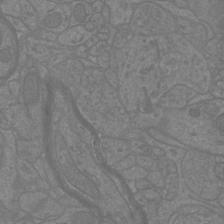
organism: Mouse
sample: Cortical neurons